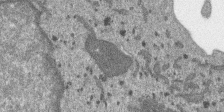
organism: Human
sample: Lung epithelial cells infected with SARS-CoV-2